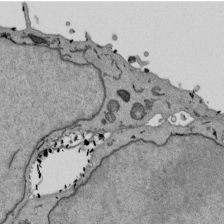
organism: Mouse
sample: ED-1 cell nuclei; centrioles